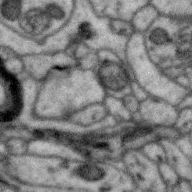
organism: Zebra finch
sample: Brain